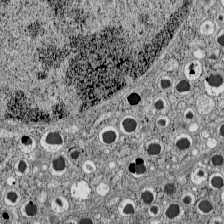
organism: C57BL Mouse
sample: Pancreatic islet